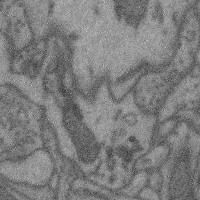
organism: Mouse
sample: Cerebral cortex